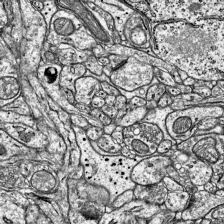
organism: Mouse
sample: Visual Cortex